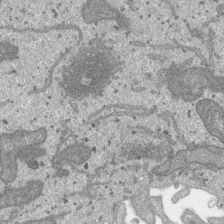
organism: Human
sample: Lung epithelial cells infected with SARS-CoV-2